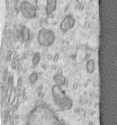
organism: Human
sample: Centriole in RPE cells